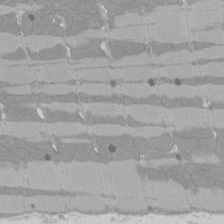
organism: Rat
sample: Left ventricle